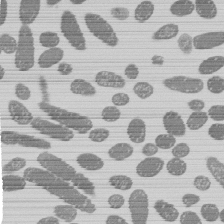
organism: E. coli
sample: Bacterial nucleoid